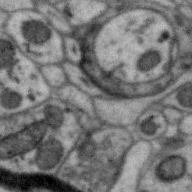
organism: Zebra finch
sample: Brain